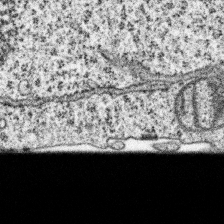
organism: Human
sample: HeLa cells